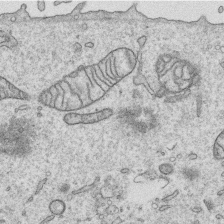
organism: Human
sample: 1205lu cells